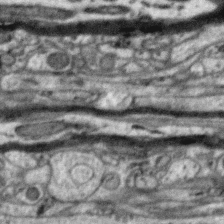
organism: Zebra finch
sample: Brain